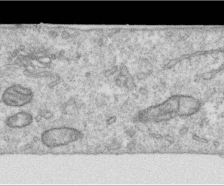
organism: Human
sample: Centriole in RPE cells